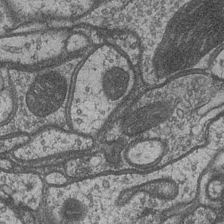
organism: Drosophila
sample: Optic medulla